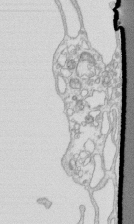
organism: Mouse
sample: Macrophages